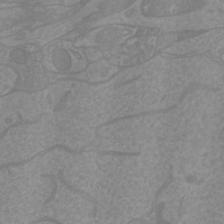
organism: Mouse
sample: Cortical neurons